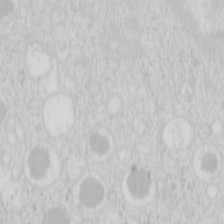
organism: Mouse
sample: Pancreas